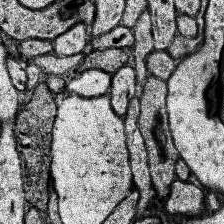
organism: Human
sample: Temporal Lobe